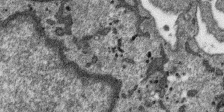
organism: Human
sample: Lung epithelial cells infected with SARS-CoV-2